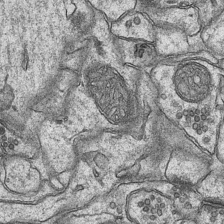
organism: Mouse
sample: CA1 Hippocampus